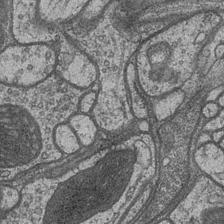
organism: Drosophila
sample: Optic medulla